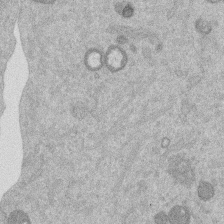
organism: Mouse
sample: Dividing mouse embryo 1 cell stage